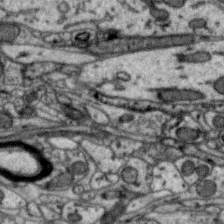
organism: Zebra finch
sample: Brain